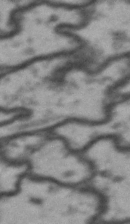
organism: Drosophila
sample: Brain